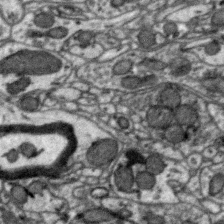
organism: Zebra finch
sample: Brain